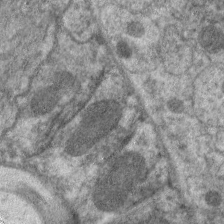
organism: C. elegans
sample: Pharynx